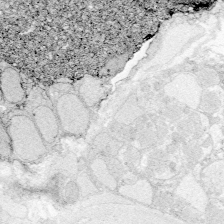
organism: Zebrafish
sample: Whole-Brain